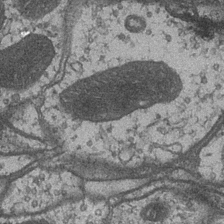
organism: Drosophila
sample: Optic medulla